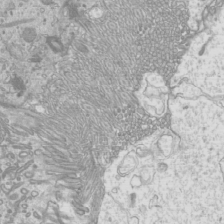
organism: Mouse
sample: Cilia; mouse epididymis